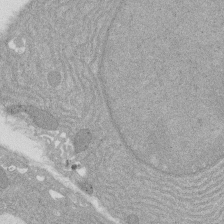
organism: Rat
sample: Salivary granule